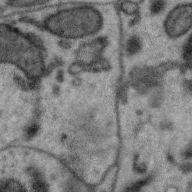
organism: Zebra finch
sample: Brain